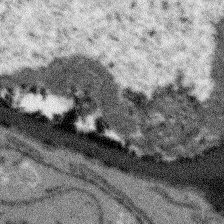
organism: Arabidopsis thaliana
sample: Root tip